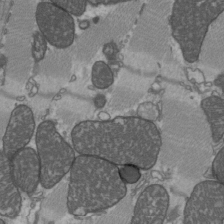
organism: C57BL Mouse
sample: Heart